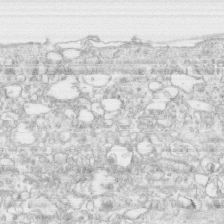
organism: Human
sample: CRL-1474